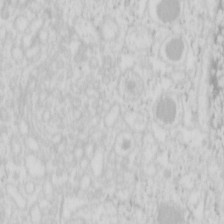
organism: Mouse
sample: Pancreas